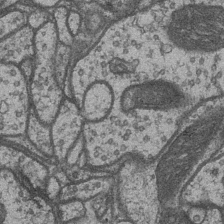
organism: Drosophila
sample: Optic medulla